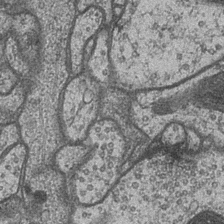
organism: Drosophila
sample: Optic medulla